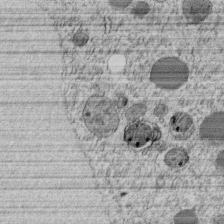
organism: C. elegans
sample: C. elegans embryo early stage